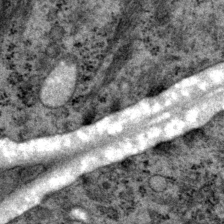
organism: P. pacificus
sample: Pharynx